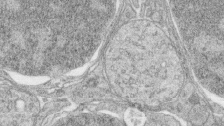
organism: Zebrafish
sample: synaptic ribbons in rod cells and cone cells